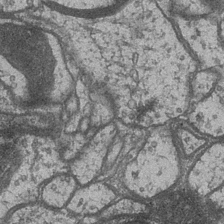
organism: Drosophila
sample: Optic medulla